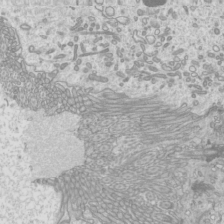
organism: Mouse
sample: Cilia; mouse epididymis